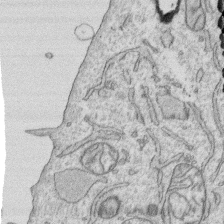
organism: Human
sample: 1205lu cells